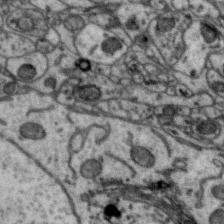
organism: Zebra finch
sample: Brain